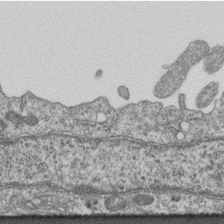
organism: Mouse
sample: Centriole in ependymal cells